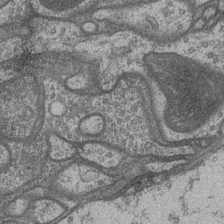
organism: Drosophila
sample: Optic medulla